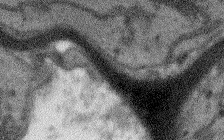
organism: Arabidopsis thaliana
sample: Root tip